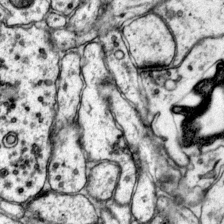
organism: Mouse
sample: Primary visual cortex